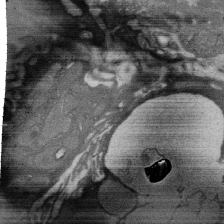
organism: Rat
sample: Salivary granule